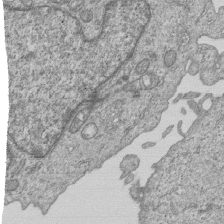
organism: Human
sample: MDA-MB-231 cells